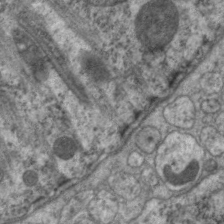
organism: C. elegans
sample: Pharynx